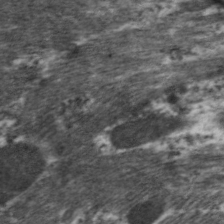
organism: C. elegans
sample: Pharynx